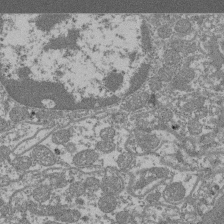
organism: Mouse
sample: Glomerulus